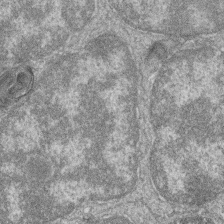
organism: Zebrafish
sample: Cilia; retinal pigment epithelium